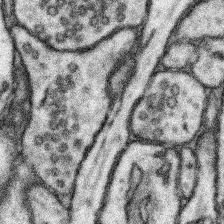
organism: Mouse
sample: Somatosensory cortex neuropil